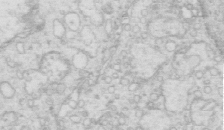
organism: Mouse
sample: Multiciliated cells